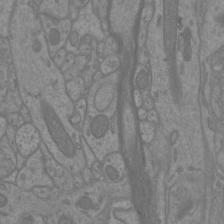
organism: Mouse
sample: Cortical neurons